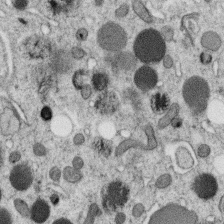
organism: C. elegans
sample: C. elegans oocyte; sperm cells